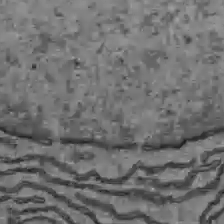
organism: C57BL Mouse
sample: Liver